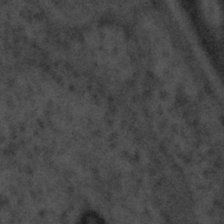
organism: Tuwongella immobilis